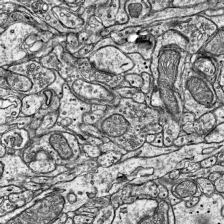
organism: Mouse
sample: Visual Cortex